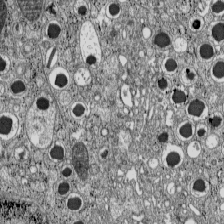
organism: C57BL Mouse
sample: Pancreatic islet